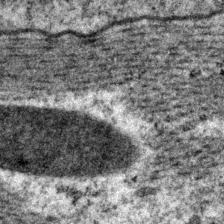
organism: P. pacificus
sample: Pharynx